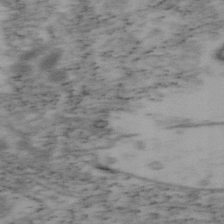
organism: Mouse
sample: OT-I killer T cells with ID8 ovarian cancer cells